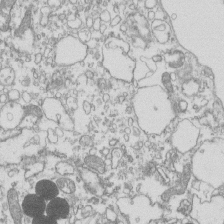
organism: Mouse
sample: Macrophages